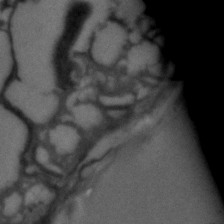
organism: C. elegans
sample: C. elegans embryo